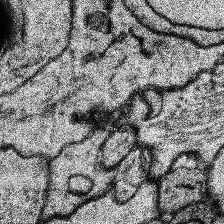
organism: Human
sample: Temporal Lobe